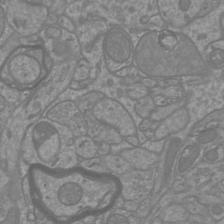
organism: Mouse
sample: Cortical neurons